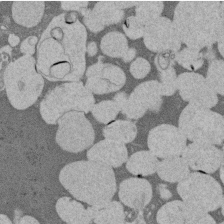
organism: Rat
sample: Salivary granule